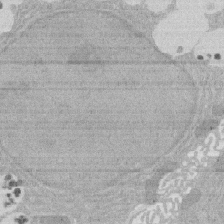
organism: Rat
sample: Salivary granule